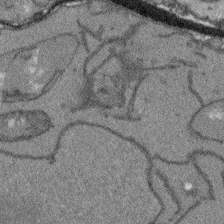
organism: Arabidopsis thaliana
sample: Root tip